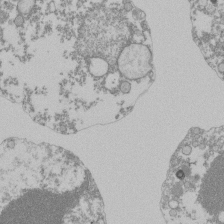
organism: Mouse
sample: Activated Pmel transgenic CD8+ T Cells